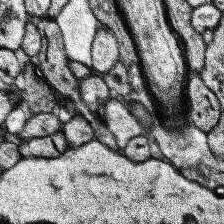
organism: Human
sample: Temporal Lobe